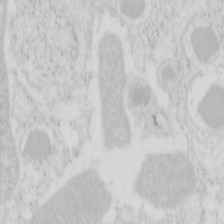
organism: Mouse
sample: Pancreas